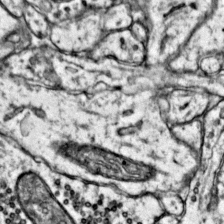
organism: Mouse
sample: Primary visual cortex